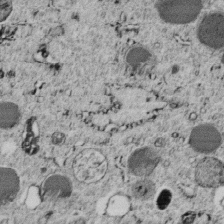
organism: C. elegans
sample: C. elegans embryo early stage